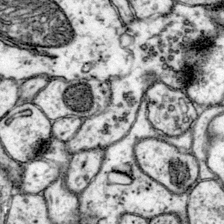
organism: Mouse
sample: Primary visual cortex